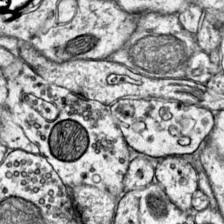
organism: Mouse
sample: Primary visual cortex